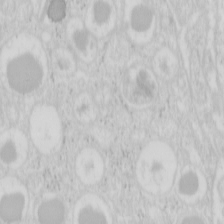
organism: Mouse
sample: Pancreas